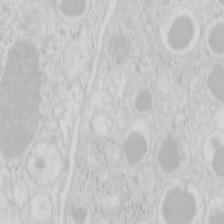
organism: Mouse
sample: Pancreas